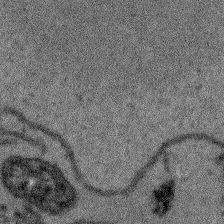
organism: Arabidopsis thaliana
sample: Root tip